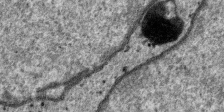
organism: Human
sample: Lung epithelial cells, uninfected (mock) control